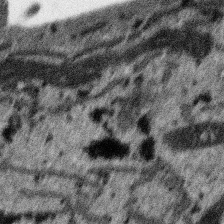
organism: Human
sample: Lung epithelial cells infected with SARS-CoV-2